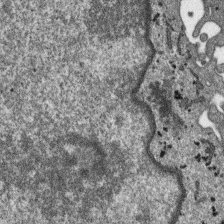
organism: Human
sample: Lung epithelial cells infected with SARS-CoV-2